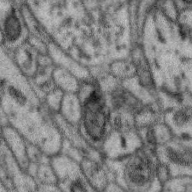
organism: Zebra finch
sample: Brain